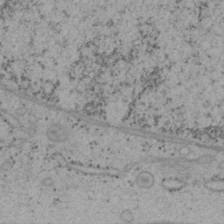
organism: Human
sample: HeLa cells